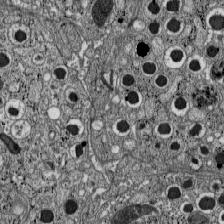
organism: C57BL Mouse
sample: Pancreatic islet